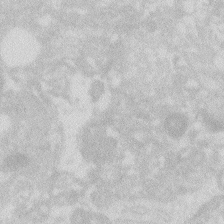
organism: Zebrafish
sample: Macrophage